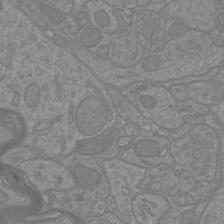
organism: Mouse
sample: Cortical neurons